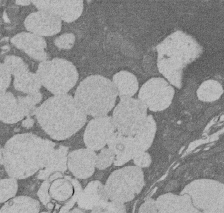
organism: Rat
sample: Salivary granule